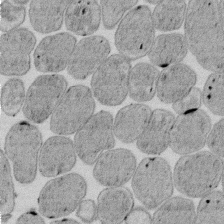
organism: E. coli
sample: Bacterial nucleoid